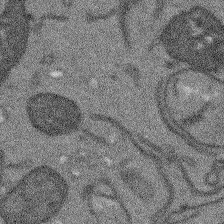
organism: Arabidopsis thaliana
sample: Root tip